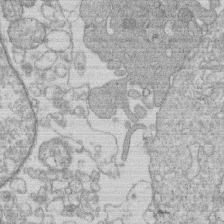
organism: Human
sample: Macrophage cells